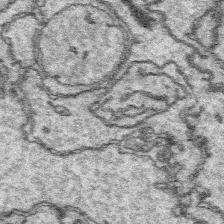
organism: Platynereis dumerilii